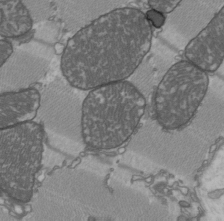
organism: C57BL Mouse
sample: Heart